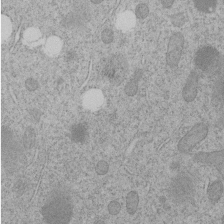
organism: C. elegans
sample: C. elegans embryo early stage